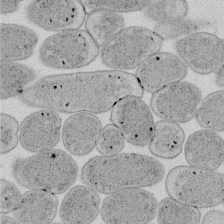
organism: E. coli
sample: Bacterial nucleoid